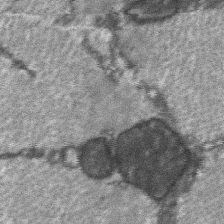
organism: C57BL Mouse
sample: Soleus